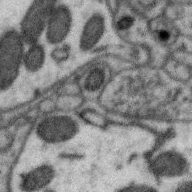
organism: Zebra finch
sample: Brain